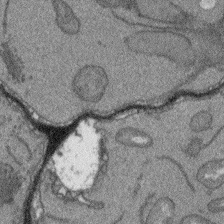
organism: Arabidopsis thaliana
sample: Root tip